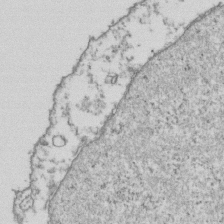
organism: Human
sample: Activated Jurkat CD4+ T cells